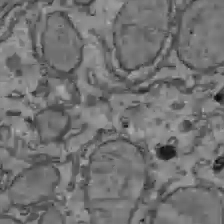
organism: C57BL Mouse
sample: Liver